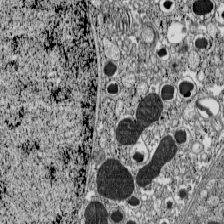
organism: C57BL Mouse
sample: Pancreatic islet